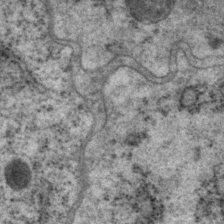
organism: P. pacificus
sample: Pharynx